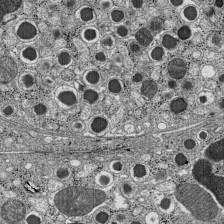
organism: C57BL Mouse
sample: Pancreatic islet